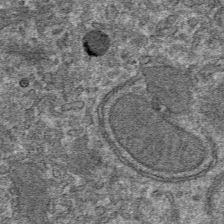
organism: Mouse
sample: Mouse hepatocytes